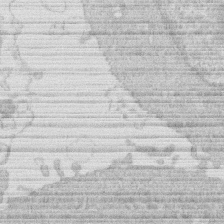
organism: Human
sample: Macrophage cells